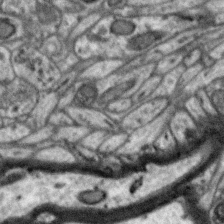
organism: Zebra finch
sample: Brain